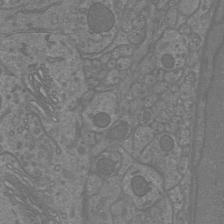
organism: Mouse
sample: Cortical neurons